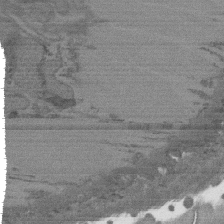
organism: C. elegans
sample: AFD neurons C. elegans